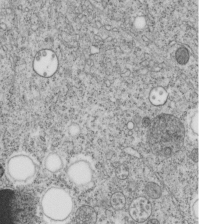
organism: C. elegans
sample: C. elegans embryo early stage